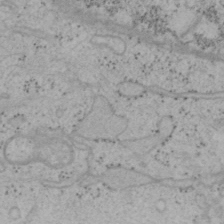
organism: Human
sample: HeLa cells